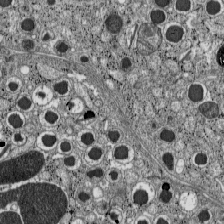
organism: C57BL Mouse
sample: Pancreatic islet